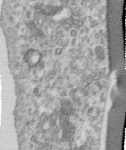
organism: Human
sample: Centriole in RPE cells